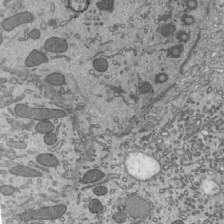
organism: Mouse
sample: Mouse epididymis efferent ductule cilia